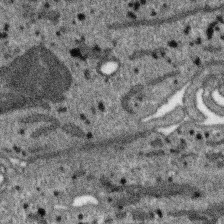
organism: Human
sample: Lung epithelial cells infected with SARS-CoV-2